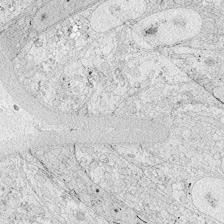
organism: Zebrafish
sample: Whole-Brain